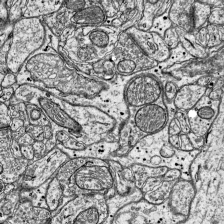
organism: Mouse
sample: Visual Cortex